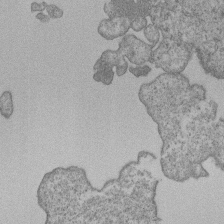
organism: Human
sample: MDA-MB-231 cells